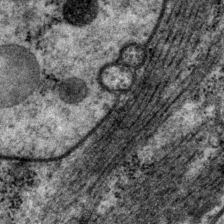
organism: P. pacificus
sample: Pharynx